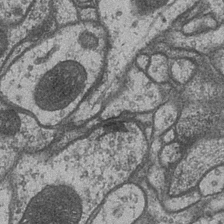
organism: Drosophila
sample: Optic medulla